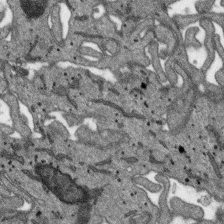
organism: Human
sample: Lung epithelial cells, uninfected (mock) control